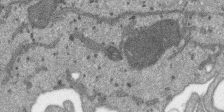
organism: Human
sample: Lung epithelial cells infected with SARS-CoV-2